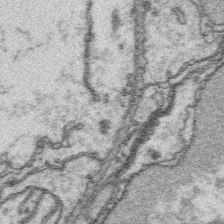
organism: Platynereis dumerilii